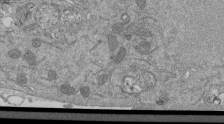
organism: Mouse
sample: ED-1 cell nuclei; centrioles